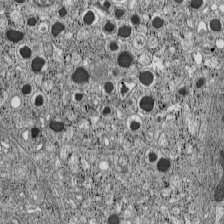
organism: C57BL Mouse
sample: Pancreatic islet